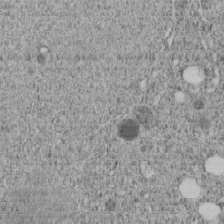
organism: C. elegans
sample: C. elegans embryo early stage